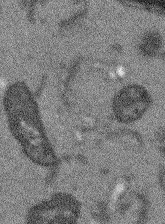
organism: Arabidopsis thaliana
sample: Root tip